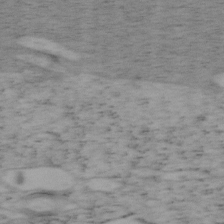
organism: Mouse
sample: OT-I killer T cells with ID8 ovarian cancer cells